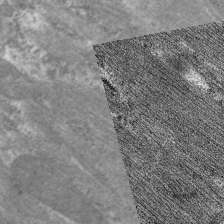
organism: C. elegans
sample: Pharynx